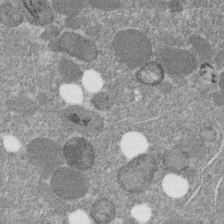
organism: C. elegans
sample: C. elegans embryo early stage